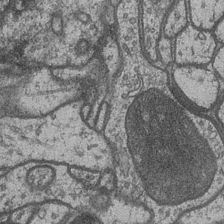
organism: Drosophila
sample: Optic medulla